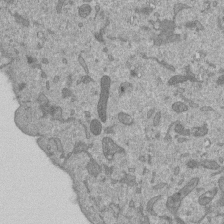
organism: Mouse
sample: ED-1 cell nuclei; centrioles